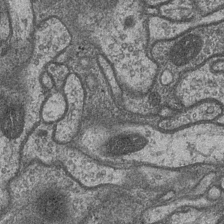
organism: Drosophila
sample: Optic medulla